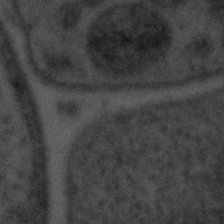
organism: Tuwongella immobilis